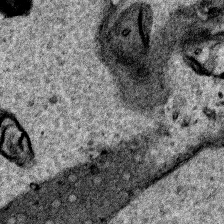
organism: Human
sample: Mitochondria in HCT116 cells